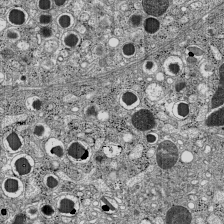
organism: C57BL Mouse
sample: Pancreatic islet